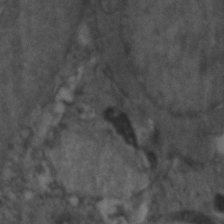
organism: Zebrafish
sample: Zebrafish embryo